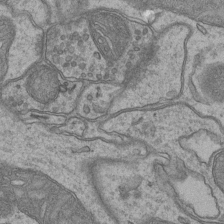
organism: Mouse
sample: CA1 Hippocampus